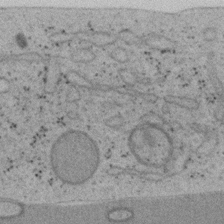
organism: Human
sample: HeLa cells